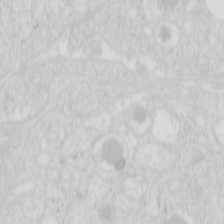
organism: Mouse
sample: Pancreas